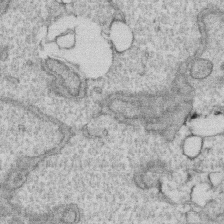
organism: Human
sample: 1205lu cells